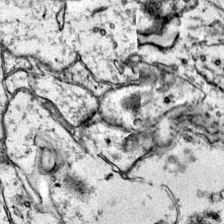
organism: Mouse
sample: Primary visual cortex